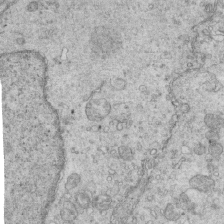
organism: Mouse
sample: Multiciliated cells